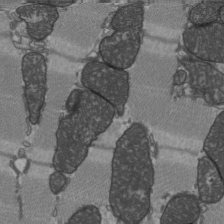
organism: C57BL Mouse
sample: Heart